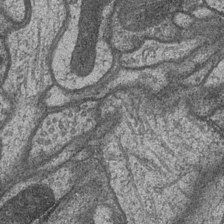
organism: Drosophila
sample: Optic medulla